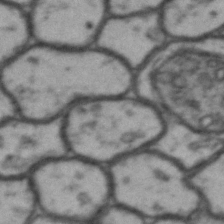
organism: Drosophila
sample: Brain